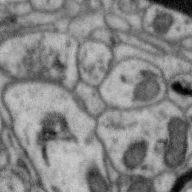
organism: Zebra finch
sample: Brain